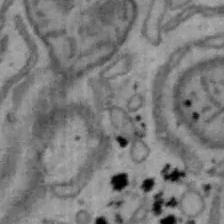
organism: Mouse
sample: Liver